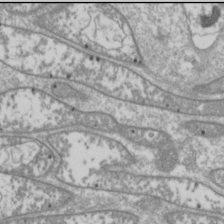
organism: Drosophila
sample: Cell division; meiosis; drosophila spermatocytes